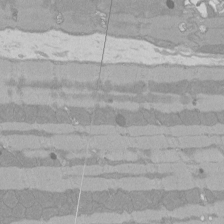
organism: Rat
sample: Left ventricle